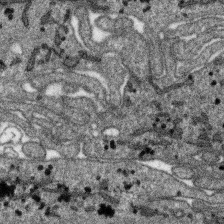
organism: Human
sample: Lung epithelial cells infected with SARS-CoV-2